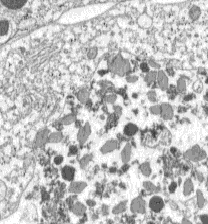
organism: C57BL Mouse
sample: Pancreatic islet